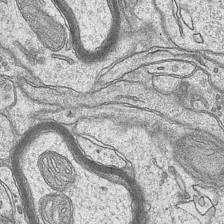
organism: Mouse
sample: CA1 Hippocampus